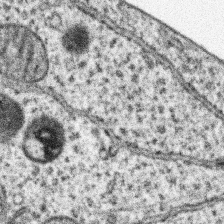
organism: Human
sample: HeLa cells